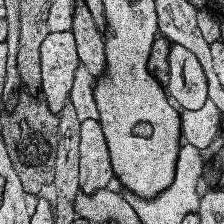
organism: Human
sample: Temporal Lobe